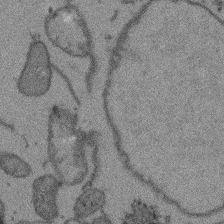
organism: Arabidopsis thaliana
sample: Root tip